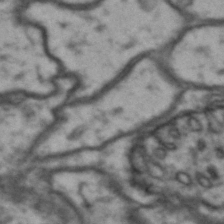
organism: Drosophila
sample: Brain